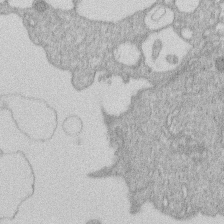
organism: Human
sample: Macrophage cells